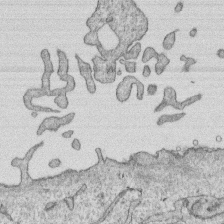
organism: Human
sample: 1205lu cells